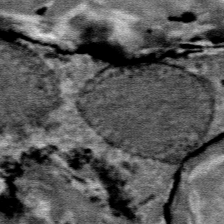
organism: Mouse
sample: Mouse Salivary gland